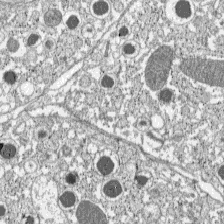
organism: C57BL Mouse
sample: Pancreatic islet